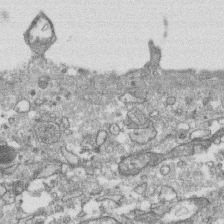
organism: Human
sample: CRL-1474